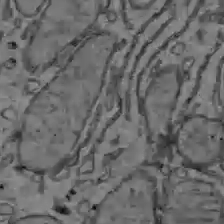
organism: C57BL Mouse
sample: Liver